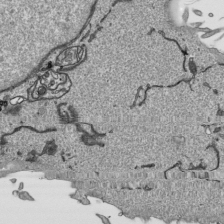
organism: Human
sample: Mitochondria in HCT116 cells